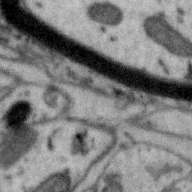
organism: Zebra finch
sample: Brain